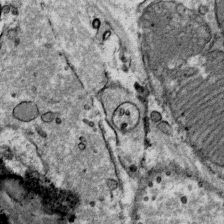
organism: Mouse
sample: Mouse Salivary gland